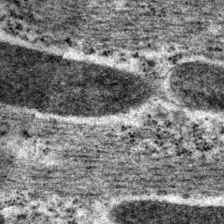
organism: P. pacificus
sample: Pharynx